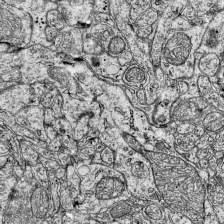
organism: Mouse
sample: Visual Cortex